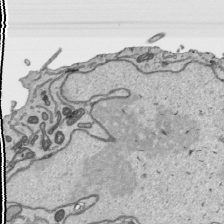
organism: Human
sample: Mitochondria in HCT116 cells